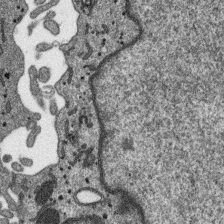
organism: Human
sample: Lung epithelial cells infected with SARS-CoV-2